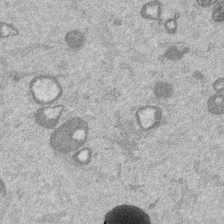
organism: Mouse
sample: Dividing mouse embryo 1 cell stage